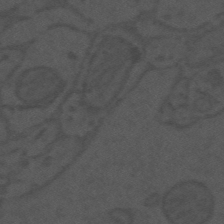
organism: Mouse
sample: Suprachiasmatic nucleus